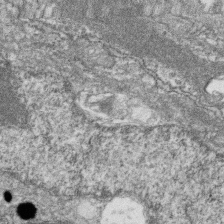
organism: Zebrafish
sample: Cilia; retinal pigment epithelium